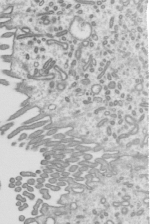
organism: Mouse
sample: Mouse epididymis efferent ductule cilia